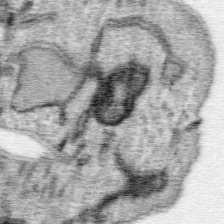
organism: Human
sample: HeLa cells